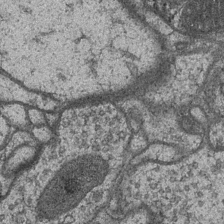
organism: Drosophila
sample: Optic medulla